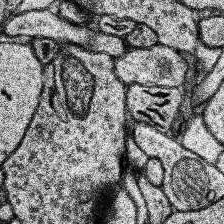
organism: Human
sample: Temporal Lobe